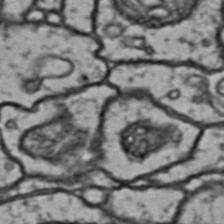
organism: Drosophila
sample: Brain